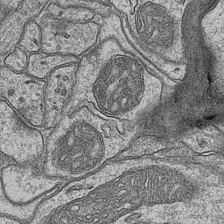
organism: Mouse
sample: CA1 Hippocampus